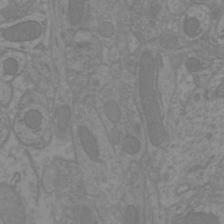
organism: Mouse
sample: Cortical neurons